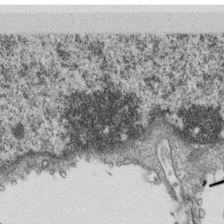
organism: African green monkey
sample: Vero E6 cells infected with SARS-CoV-2